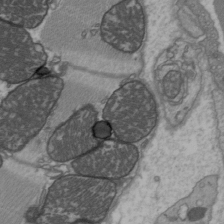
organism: C57BL Mouse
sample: Heart